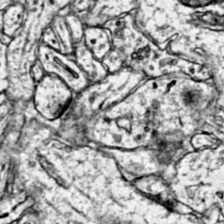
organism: Mouse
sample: Primary visual cortex